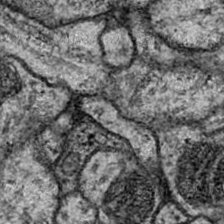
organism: Drosophila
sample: Ventral Nerve Cord